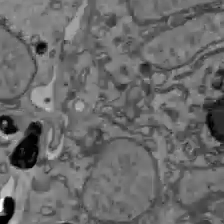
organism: C57BL Mouse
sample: Liver